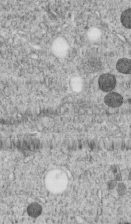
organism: C. elegans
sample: C. elegans embryo early stage